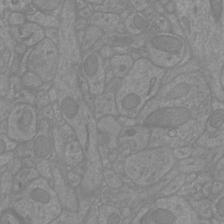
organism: Mouse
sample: Cortical neurons